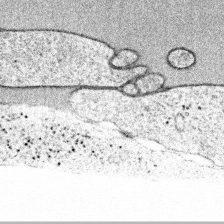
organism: Human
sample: HeLa cells